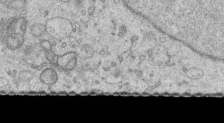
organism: Human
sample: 1205lu cells